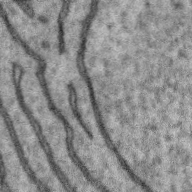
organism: Zebra finch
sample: Brain